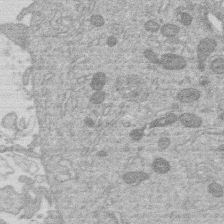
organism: Human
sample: Macrophage cells